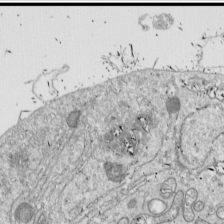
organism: Drosophila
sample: Cell division; meiosis; drosophila spermatocytes